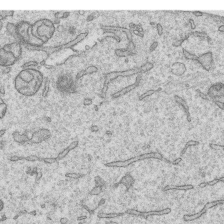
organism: Human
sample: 1205lu cells